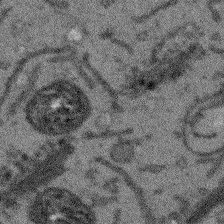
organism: Arabidopsis thaliana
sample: Root tip